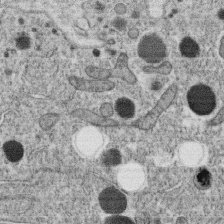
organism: C. elegans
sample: C. elegans oocyte; sperm cells